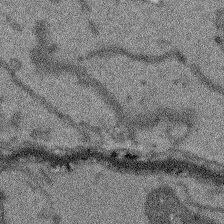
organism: Arabidopsis thaliana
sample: Root tip